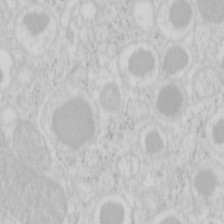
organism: Mouse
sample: Pancreas